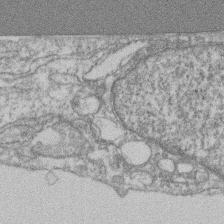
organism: Mouse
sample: T cell stromal cell synapse